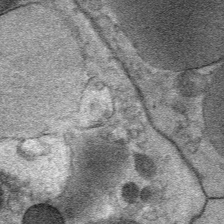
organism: Mouse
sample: Mouse Salivary gland